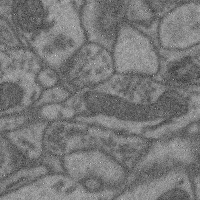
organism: Mouse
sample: Cerebral cortex